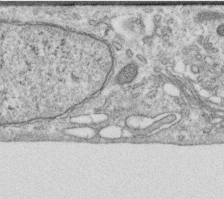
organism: Human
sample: Centriole in RPE cells